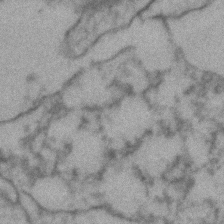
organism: Zebrafish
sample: Zebrafish embryo